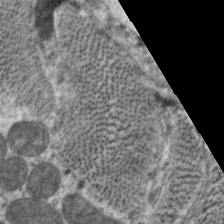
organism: C. elegans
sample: Pharynx